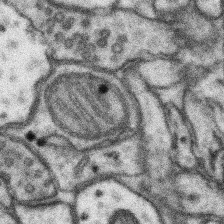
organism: Mouse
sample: Somatosensory cortex neuropil